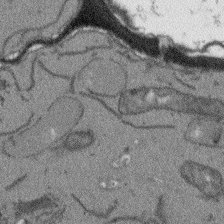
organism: Arabidopsis thaliana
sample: Root tip